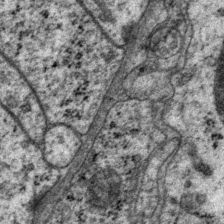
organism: P. pacificus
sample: Pharynx